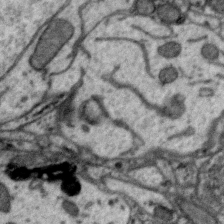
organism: Zebra finch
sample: Brain